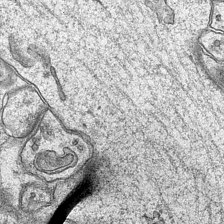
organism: Mouse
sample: CA1 Hippocampus